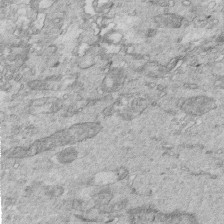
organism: Mouse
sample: Multiciliated cells